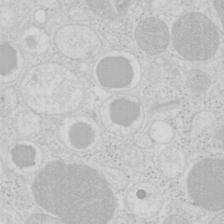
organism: Mouse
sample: Pancreas